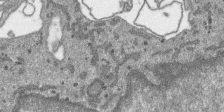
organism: Human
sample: Lung epithelial cells infected with SARS-CoV-2